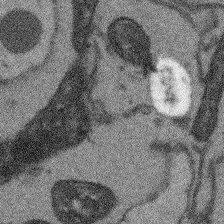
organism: Arabidopsis thaliana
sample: Root tip